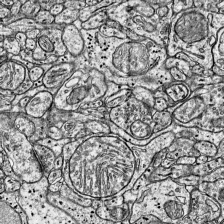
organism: Mouse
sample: Visual Cortex